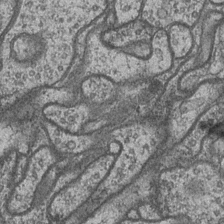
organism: Drosophila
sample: Optic medulla